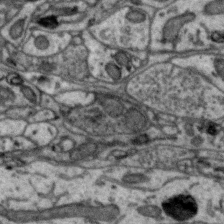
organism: Zebra finch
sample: Brain